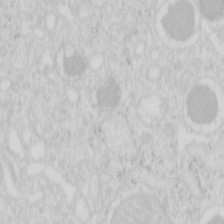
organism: Mouse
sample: Pancreas